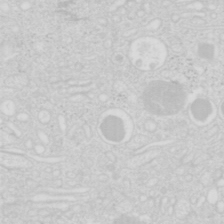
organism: Mouse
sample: Pancreas